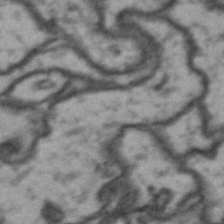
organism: Drosophila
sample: Brain